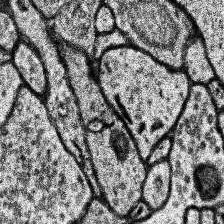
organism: Human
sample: Temporal Lobe